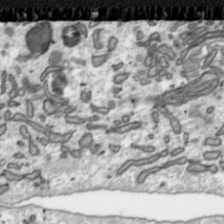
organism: Toxoplasma gondii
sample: Parasites in a vacuole inside a host cell